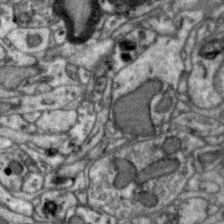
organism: Zebra finch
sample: Brain